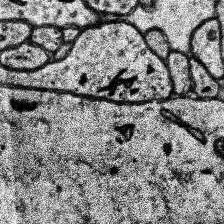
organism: Human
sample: Temporal Lobe